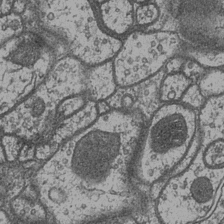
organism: Drosophila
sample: Optic medulla